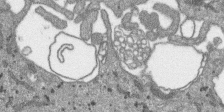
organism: Human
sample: Lung epithelial cells infected with SARS-CoV-2